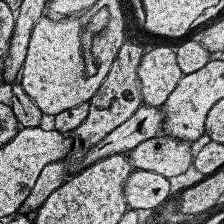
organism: Human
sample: Temporal Lobe